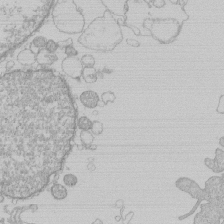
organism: Human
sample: Macrophage cells